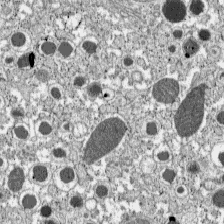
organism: C57BL Mouse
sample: Pancreatic islet